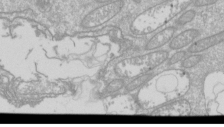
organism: Drosophila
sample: Cell division; meiosis; drosophila spermatocytes